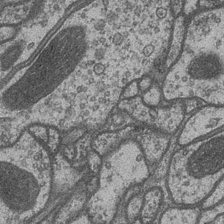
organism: Drosophila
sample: Optic medulla